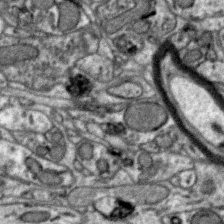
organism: Zebra finch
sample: Brain